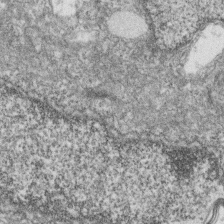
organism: Zebrafish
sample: Cilia; retinal pigment epithelium